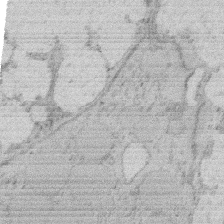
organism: Rat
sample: Salivary granule